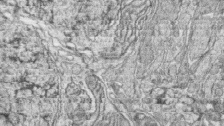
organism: Zebrafish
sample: synaptic ribbons in rod cells and cone cells